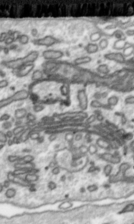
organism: Toxoplasma gondii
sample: Parasites in a vacuole inside a host cell